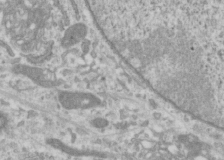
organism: Human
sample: Cilia; basal body in RPE cells